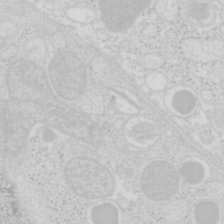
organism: Mouse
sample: Pancreas